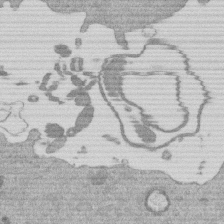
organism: Mouse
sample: Dividing mouse embryo 1 cell stage